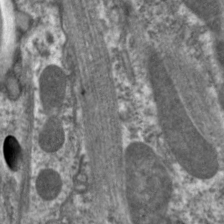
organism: C. elegans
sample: Pharynx